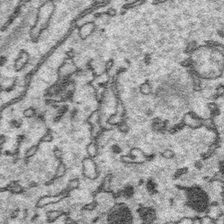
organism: Platynereis dumerilii